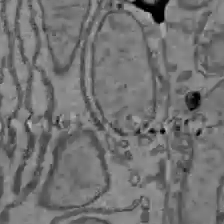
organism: C57BL Mouse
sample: Liver